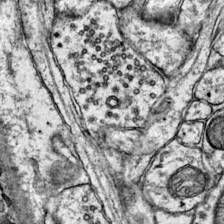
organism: Mouse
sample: Primary visual cortex